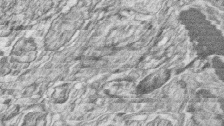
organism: Zebrafish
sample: synaptic ribbons in rod cells and cone cells